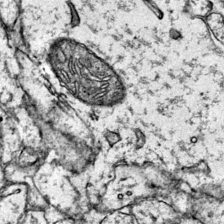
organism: Mouse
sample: Primary visual cortex